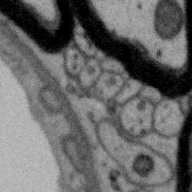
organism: Zebra finch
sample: Brain